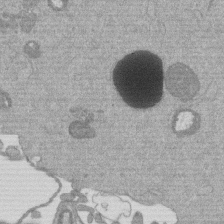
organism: Mouse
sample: Dividing mouse embryo 1 cell stage